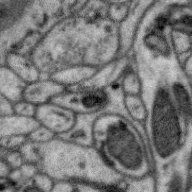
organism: Zebra finch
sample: Brain